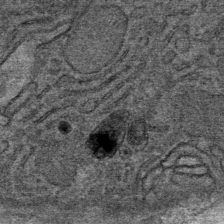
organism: Mouse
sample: Mouse Salivary gland